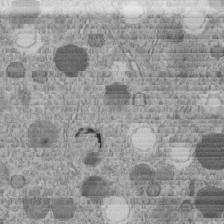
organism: C. elegans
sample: C. elegans embryo early stage